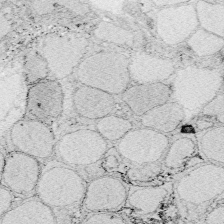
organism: Zebrafish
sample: Whole-Brain